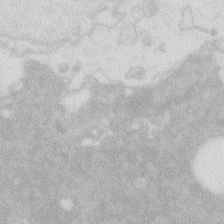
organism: Zebrafish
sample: Macrophage